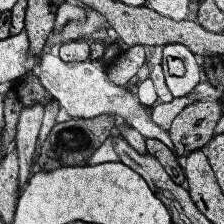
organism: Human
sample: Temporal Lobe